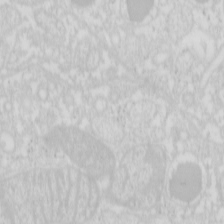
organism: Mouse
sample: Pancreas